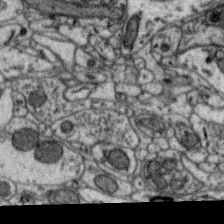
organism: Zebra finch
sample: Brain